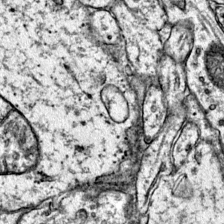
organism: Mouse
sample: Primary visual cortex